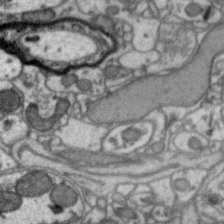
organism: Zebra finch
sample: Brain